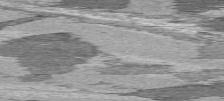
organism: C57BL Mouse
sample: Heart